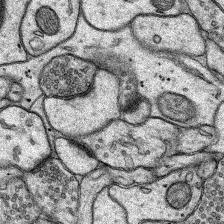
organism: Rat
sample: Hippocampus